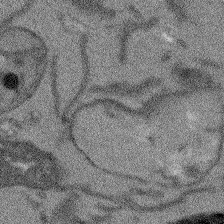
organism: Arabidopsis thaliana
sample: Root tip